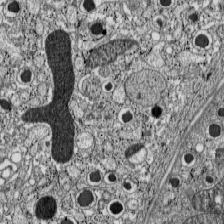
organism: C57BL Mouse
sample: Pancreatic islet